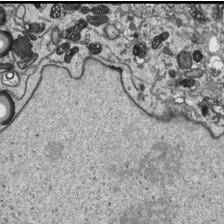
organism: Human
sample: Mitochondria in HCT116 cells